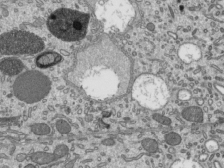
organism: Mouse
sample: Mouse epididymis efferent ductule cilia